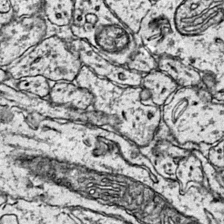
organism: Mouse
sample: Primary visual cortex